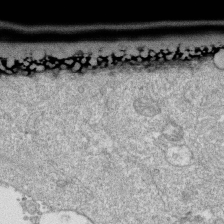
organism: Human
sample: HeLa cell HIV synapse